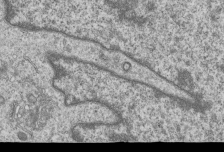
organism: Human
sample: MDA-MB-231 cells